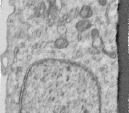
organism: Human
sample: Centriole in RPE cells